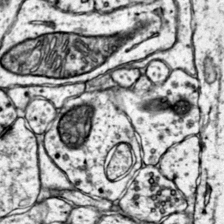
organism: Mouse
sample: Primary visual cortex